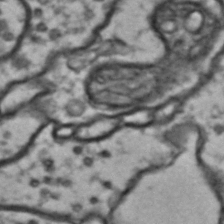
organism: Drosophila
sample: Brain